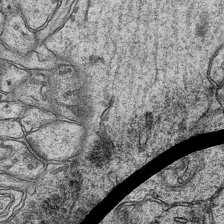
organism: Mouse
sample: CA1 Hippocampus